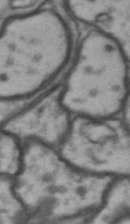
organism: Drosophila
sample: Brain